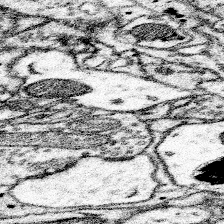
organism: Mouse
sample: Somatosensory cortex neuropil